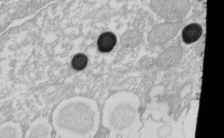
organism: Xenopus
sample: Cilia; centrioles in frog embryo cells